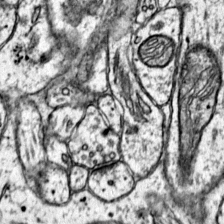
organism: Mouse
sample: Primary visual cortex